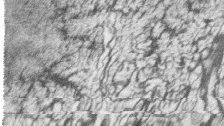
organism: Zebrafish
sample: synaptic ribbons in rod cells and cone cells